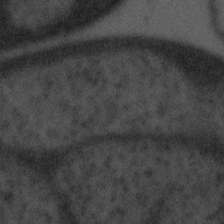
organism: Tuwongella immobilis